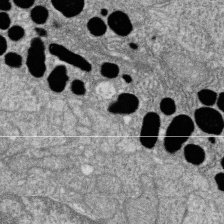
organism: Zebrafish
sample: Cilia; retinal pigment epithelium